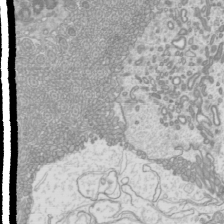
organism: Mouse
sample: Cilia; mouse epididymis